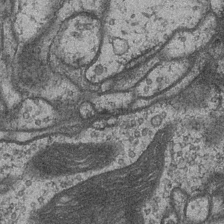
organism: Drosophila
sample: Optic medulla